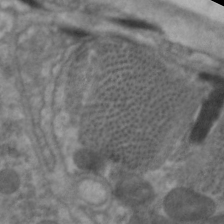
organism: C. elegans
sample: Pharynx